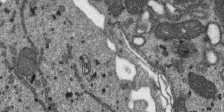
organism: Human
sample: Lung epithelial cells infected with SARS-CoV-2